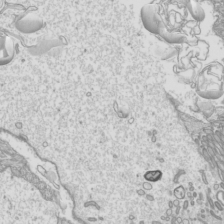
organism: Mouse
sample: Cilia; mouse epididymis